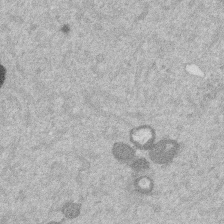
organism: Mouse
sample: Dividing mouse embryo 1 cell stage